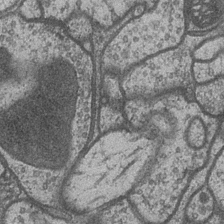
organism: Drosophila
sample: Optic medulla